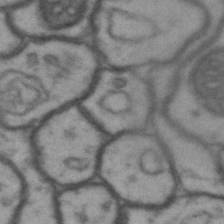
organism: Drosophila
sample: Brain